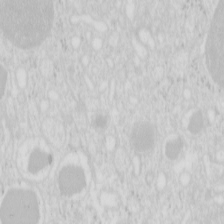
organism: Mouse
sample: Pancreas